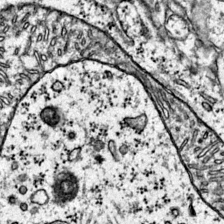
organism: Mouse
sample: Primary visual cortex